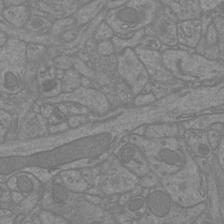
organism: Mouse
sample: Cortical neurons